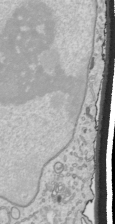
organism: Human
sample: Mitochondria in HCT116 cells